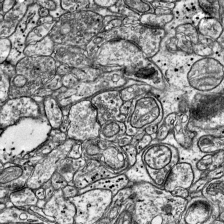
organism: Mouse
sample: Visual Cortex